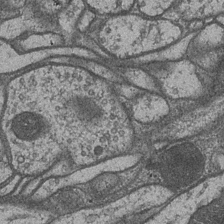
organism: Drosophila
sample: Optic medulla